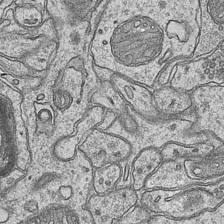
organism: Mouse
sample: CA1 Hippocampus